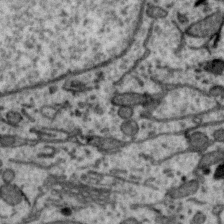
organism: Zebra finch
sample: Brain